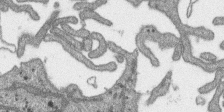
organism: Human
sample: Lung epithelial cells infected with SARS-CoV-2